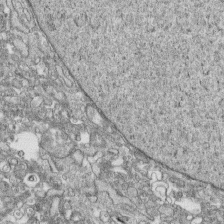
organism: Human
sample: CRL-1474